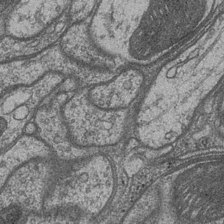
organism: Drosophila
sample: Optic medulla